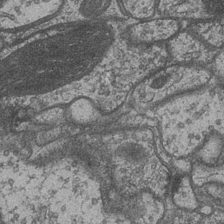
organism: Drosophila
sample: Optic medulla